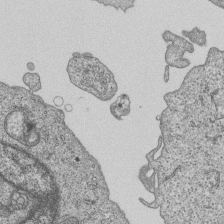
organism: Human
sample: MDA-MB-231 cells